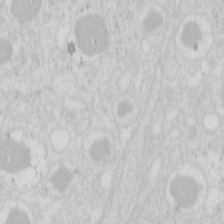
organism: Mouse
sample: Pancreas